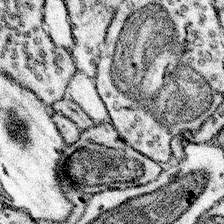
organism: Mouse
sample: Somatosensory cortex neuropil